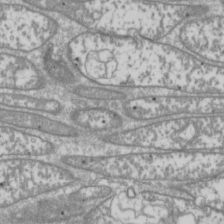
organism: Drosophila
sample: Cell division; meiosis; drosophila spermatocytes